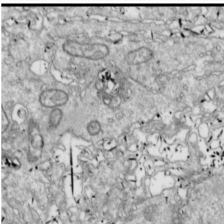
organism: Drosophila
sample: Cell division; meiosis; drosophila spermatocytes